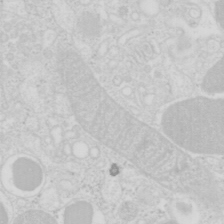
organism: Mouse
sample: Pancreas